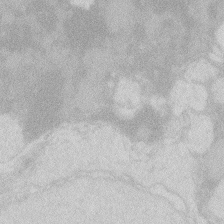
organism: Zebrafish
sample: Macrophage